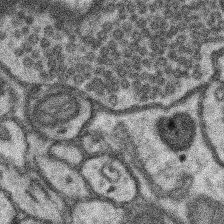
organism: Mouse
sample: Somatosensory cortex neuropil